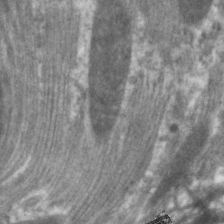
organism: C. elegans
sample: Pharynx